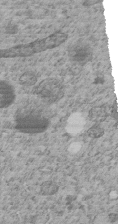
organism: C. elegans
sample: C. elegans embryo early stage